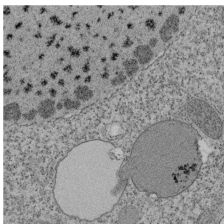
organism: Tetrahymena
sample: Cilia in tetrahymena